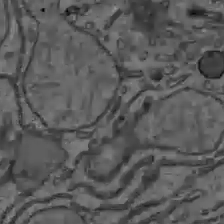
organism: C57BL Mouse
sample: Liver